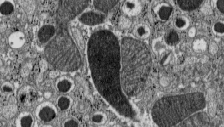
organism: C57BL Mouse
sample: Pancreatic islet